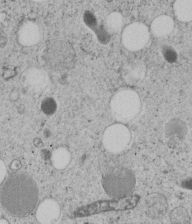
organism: C. elegans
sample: C. elegans embryo early stage